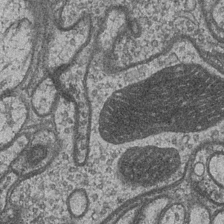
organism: Drosophila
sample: Optic medulla